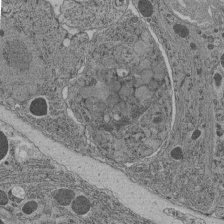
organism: C. elegans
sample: C. elegans pharynx